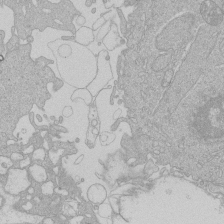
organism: Human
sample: Macrophage cells